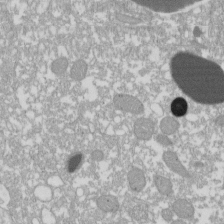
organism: Xenopus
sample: Cilia; centrioles in frog embryo cells